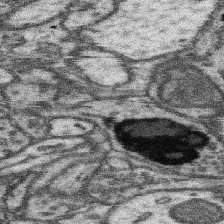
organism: Mouse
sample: Somatosensory cortex neuropil